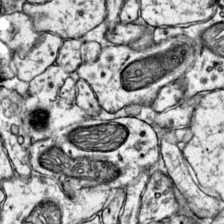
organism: Mouse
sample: Primary visual cortex